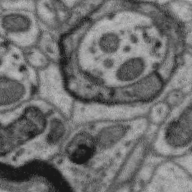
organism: Zebra finch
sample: Brain